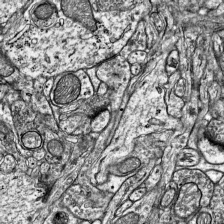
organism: Mouse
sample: Visual Cortex